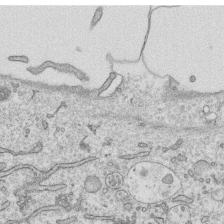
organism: Human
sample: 1205lu cells